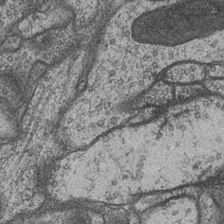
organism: Drosophila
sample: Optic medulla